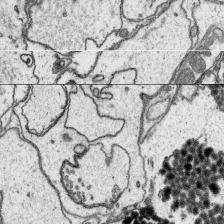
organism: Platynereis dumerilii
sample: Parapodia